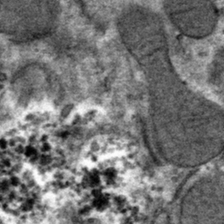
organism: Mouse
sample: Mouse hepatocytes